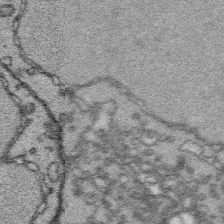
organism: Platynereis dumerilii